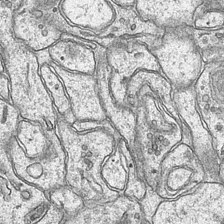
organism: Mouse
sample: CA1 Hippocampus